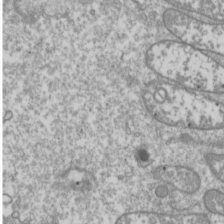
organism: Drosophila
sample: Cell division; meiosis; drosophila spermatocytes